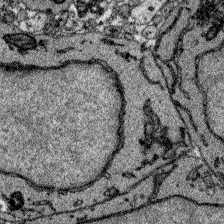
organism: Zebrafish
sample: Larval olfactory bulb